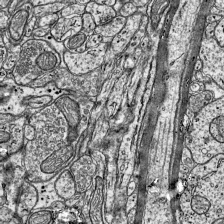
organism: Mouse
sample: Visual Cortex